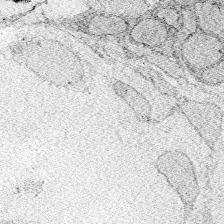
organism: Zebrafish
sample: Whole-Brain